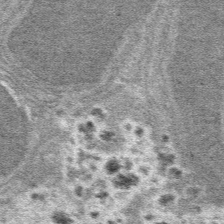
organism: Mouse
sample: Mouse hepatocytes